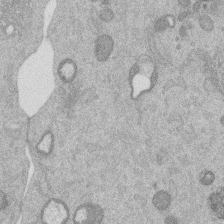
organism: Mouse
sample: Dividing mouse embryo 1 cell stage